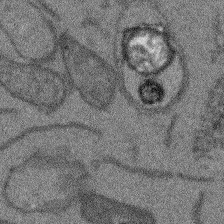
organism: Arabidopsis thaliana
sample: Root tip